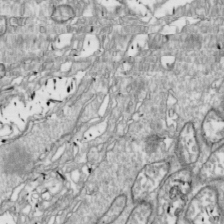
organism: Drosophila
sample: Cell division; meiosis; drosophila spermatocytes